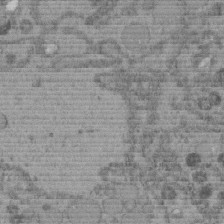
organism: C. elegans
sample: C. elegans embryo early stage